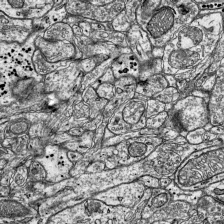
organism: Mouse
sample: Visual Cortex